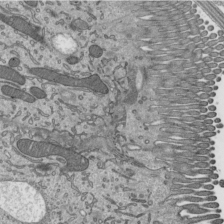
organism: Mouse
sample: Mouse epididymis efferent ductule cilia